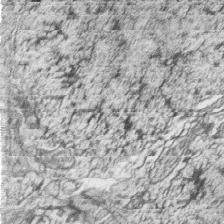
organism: Zebrafish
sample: synaptic ribbons in rod cells and cone cells